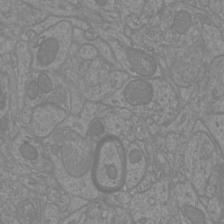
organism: Mouse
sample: Cortical neurons